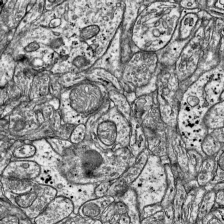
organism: Mouse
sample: Visual Cortex